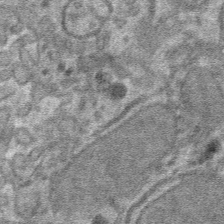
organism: Mouse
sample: Mouse hepatocytes